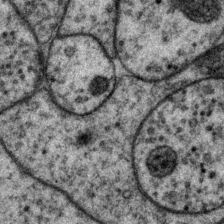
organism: P. pacificus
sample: Pharynx